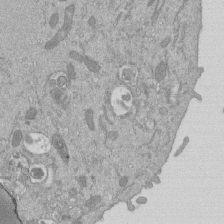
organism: Mouse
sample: ED-1 cell nuclei; centrioles